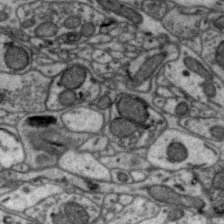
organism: Zebra finch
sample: Brain